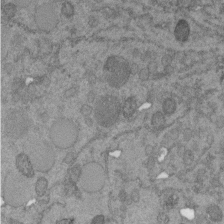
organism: C. elegans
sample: C. elegans embryo early stage